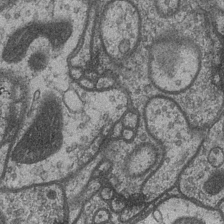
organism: Drosophila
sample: Optic medulla